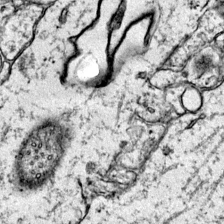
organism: Mouse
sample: Primary visual cortex